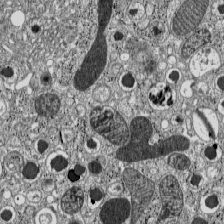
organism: C57BL Mouse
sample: Pancreatic islet